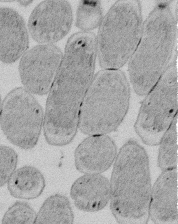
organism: E. coli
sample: Bacterial nucleoid